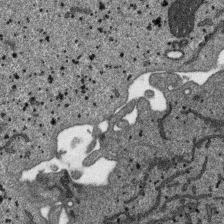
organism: Human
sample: Lung epithelial cells infected with SARS-CoV-2